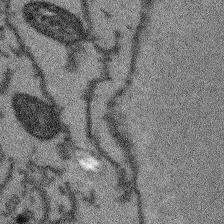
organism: Arabidopsis thaliana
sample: Root tip